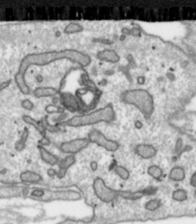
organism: Toxoplasma gondii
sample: Parasites in a vacuole inside a host cell